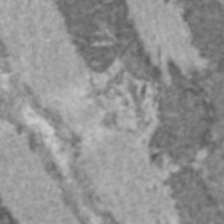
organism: C57BL Mouse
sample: Heart